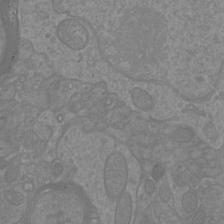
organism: Mouse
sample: Cortical neurons